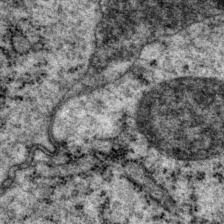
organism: P. pacificus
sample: Pharynx